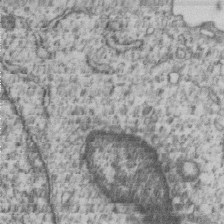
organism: Human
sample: MDA-MB-231 cells